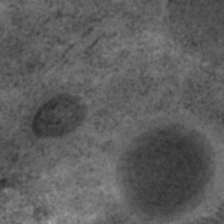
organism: C. elegans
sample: C. elegans embryo